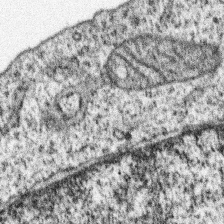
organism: Human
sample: HeLa cells